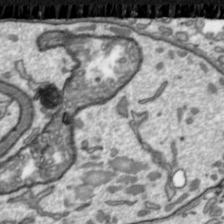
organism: Toxoplasma gondii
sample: Parasites in a vacuole inside a host cell